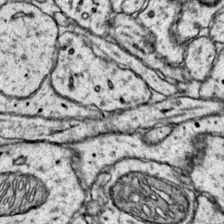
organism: Mouse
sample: Primary visual cortex